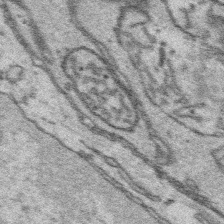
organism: Platynereis dumerilii